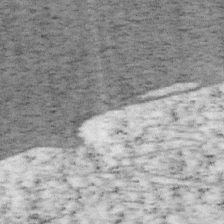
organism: Mouse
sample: OT-I killer T cells with ID8 ovarian cancer cells